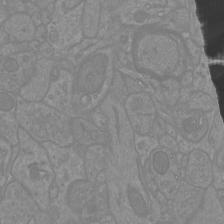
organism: Mouse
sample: Cortical neurons